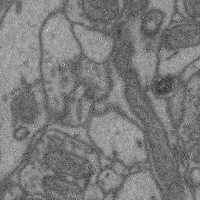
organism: Mouse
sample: Cerebral cortex